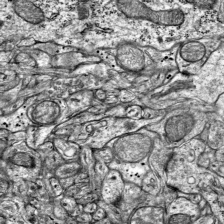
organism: Mouse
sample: Visual Cortex